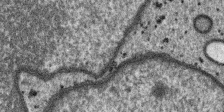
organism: Human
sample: Lung epithelial cells infected with SARS-CoV-2